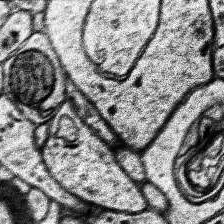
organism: Human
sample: Temporal Lobe